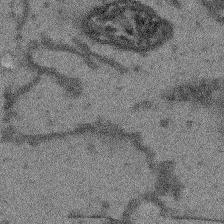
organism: Arabidopsis thaliana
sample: Root tip